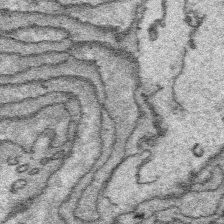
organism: Platynereis dumerilii